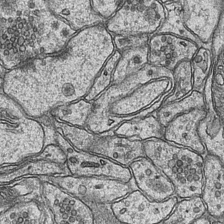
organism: Mouse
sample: CA1 Hippocampus